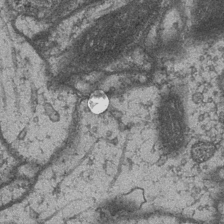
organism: Drosophila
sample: Optic medulla